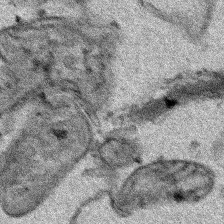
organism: Human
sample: Mitochondria in HCT116 cells